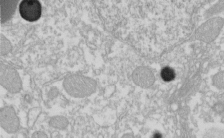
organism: Xenopus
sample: Cilia; centrioles in frog embryo cells